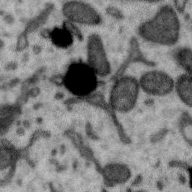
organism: Zebra finch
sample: Brain